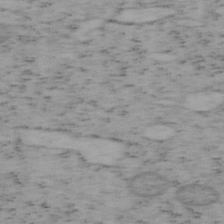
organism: Mouse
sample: OT-I killer T cells with ID8 ovarian cancer cells